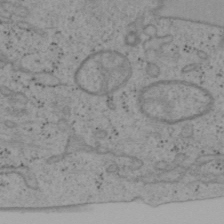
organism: Human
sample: HeLa cells